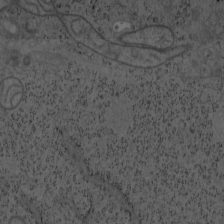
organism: Mouse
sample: OT-I killer T cells with ID8 ovarian cancer cells